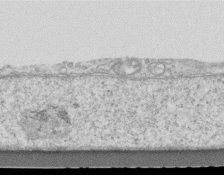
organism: Mouse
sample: Centriole in ependymal cells